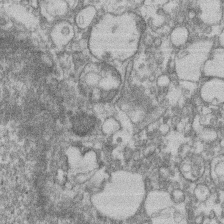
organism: Mouse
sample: T cell stromal cell synapse